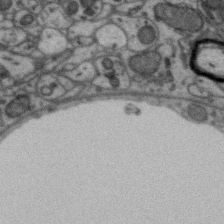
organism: Zebra finch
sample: Brain